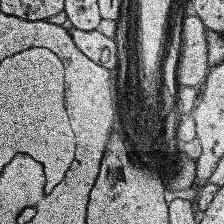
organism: Human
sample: Temporal Lobe